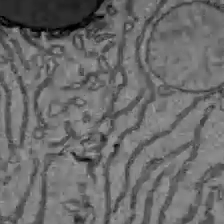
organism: C57BL Mouse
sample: Liver